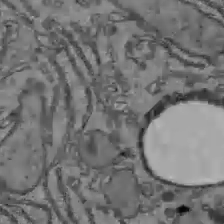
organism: C57BL Mouse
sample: Liver